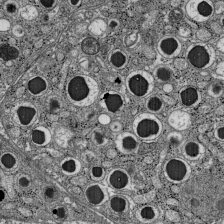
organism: C57BL Mouse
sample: Pancreatic islet